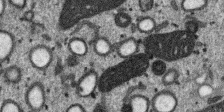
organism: Human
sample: Lung epithelial cells infected with SARS-CoV-2